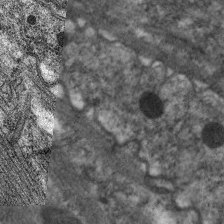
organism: C. elegans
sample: Pharynx